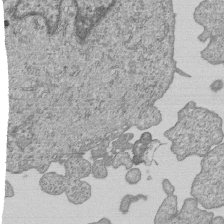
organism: Human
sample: MDA-MB-231 cells